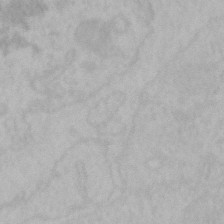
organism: Mouse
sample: Choroid plexus